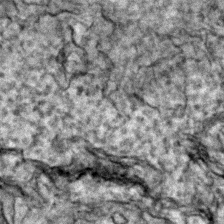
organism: Zebrafish